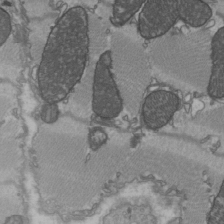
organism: C57BL Mouse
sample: Heart